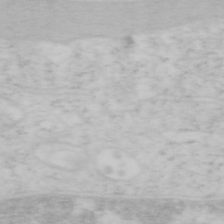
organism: Mouse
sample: OT-I killer T cells with ID8 ovarian cancer cells